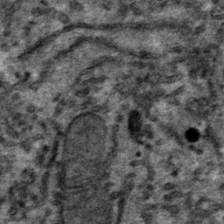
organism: Mouse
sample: Mouse hepatocytes